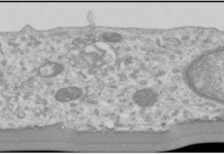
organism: Human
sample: Cilia; basal body in RPE cells